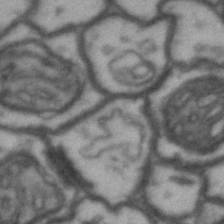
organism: Drosophila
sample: Brain